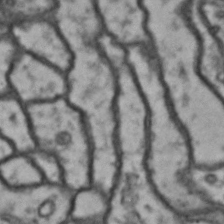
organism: Drosophila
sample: Brain